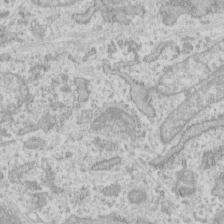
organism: Human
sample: Fibroblast cells